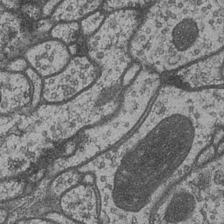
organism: Drosophila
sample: Optic medulla